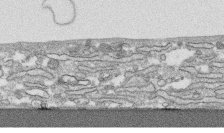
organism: Human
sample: CRL-1474